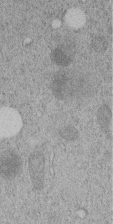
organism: C. elegans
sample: C. elegans embryo early stage